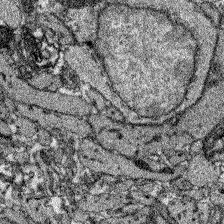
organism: Zebrafish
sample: Larval olfactory bulb